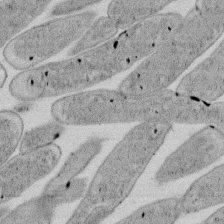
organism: E. coli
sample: Bacterial nucleoid